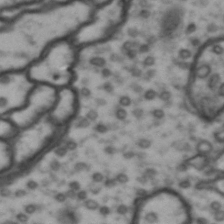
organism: Drosophila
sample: Brain